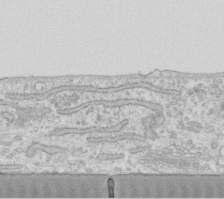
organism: Human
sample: Fibroblast cells